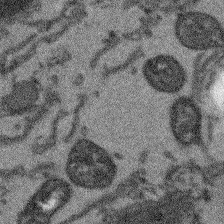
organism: Arabidopsis thaliana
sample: Root tip